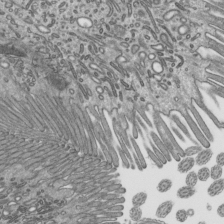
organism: Mouse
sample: Mouse epididymis efferent ductule cilia